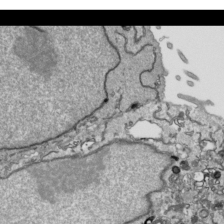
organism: Human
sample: Mitochondria in HCT116 cells